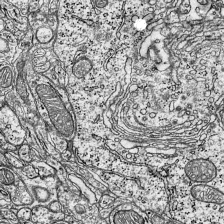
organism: Mouse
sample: Visual Cortex